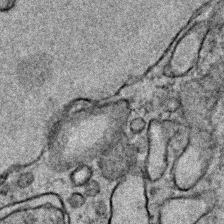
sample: Trachea